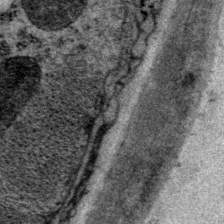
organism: P. pacificus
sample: Pharynx